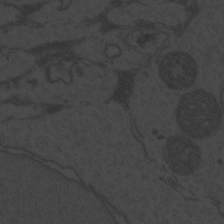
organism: Zebrafish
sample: Macrophage infected with Toxoplasma gondii